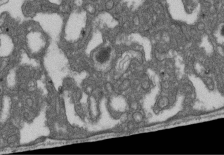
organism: Drosophila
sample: Nephrocyte